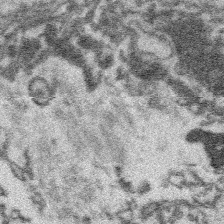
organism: Platynereis dumerilii